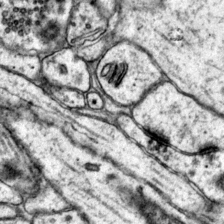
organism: Mouse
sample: Primary visual cortex